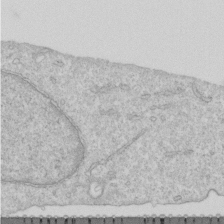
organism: Human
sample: Centriole in RPE cells